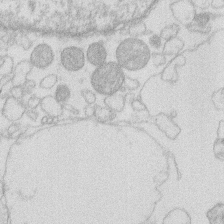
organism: Human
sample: Macrophage cells